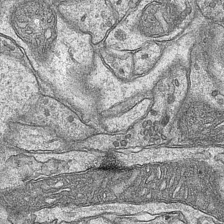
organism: Mouse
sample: CA1 Hippocampus